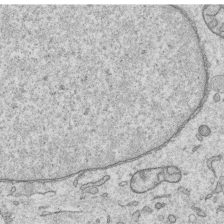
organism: Human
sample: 1205lu cells